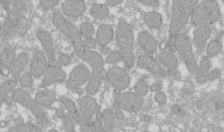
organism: Xenopus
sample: Cilia; centrioles in frog embryo cells